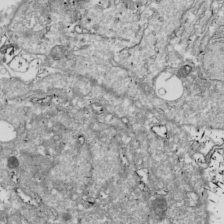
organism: Drosophila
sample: Cell division; meiosis; drosophila spermatocytes